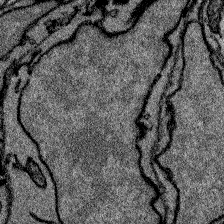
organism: Zebrafish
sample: Larval olfactory bulb